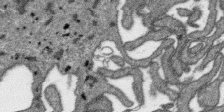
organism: Human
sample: Lung epithelial cells, uninfected (mock) control